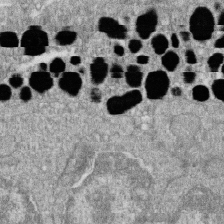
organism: Zebrafish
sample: Cilia; retinal pigment epithelium